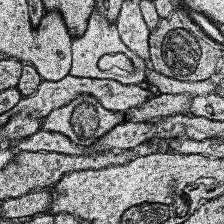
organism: Human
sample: Temporal Lobe